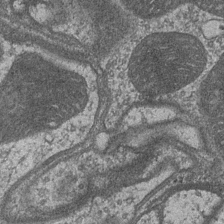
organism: Drosophila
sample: Optic medulla